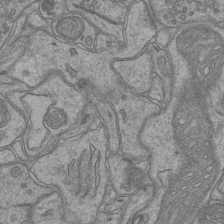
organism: Mouse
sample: CA1 Hippocampus